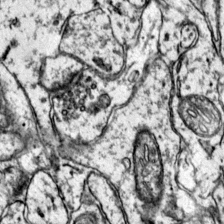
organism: Mouse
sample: Primary visual cortex